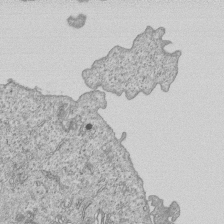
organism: Human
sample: MDA-MB-231 cells